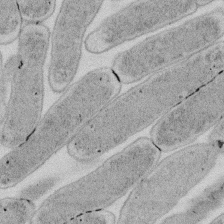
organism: E. coli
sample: Bacterial nucleoid